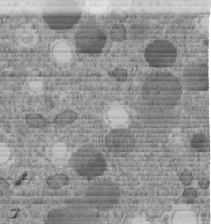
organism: C. elegans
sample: C. elegans embryo early stage